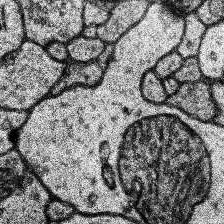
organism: Human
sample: Temporal Lobe